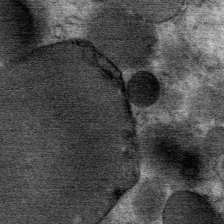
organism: Mouse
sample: Mouse Salivary gland